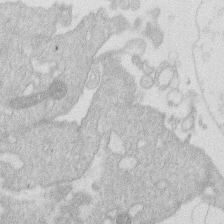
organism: Human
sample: Macrophage cells